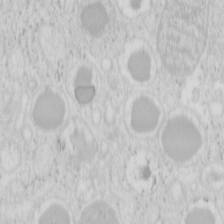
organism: Mouse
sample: Pancreas